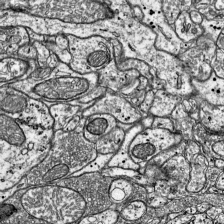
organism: Mouse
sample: Visual Cortex